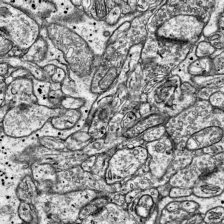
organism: Mouse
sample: Visual Cortex